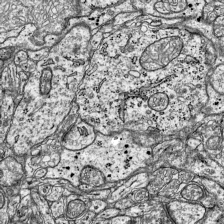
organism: Mouse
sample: Visual Cortex